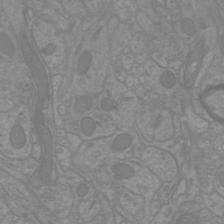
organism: Mouse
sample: Cortical neurons